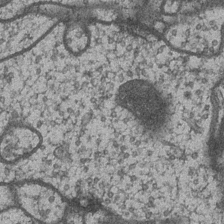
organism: Drosophila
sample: Optic medulla